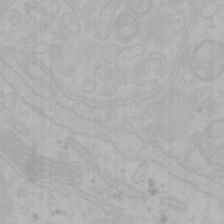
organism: Mouse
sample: Choroid plexus